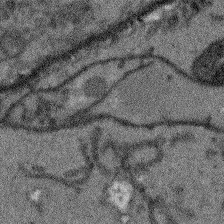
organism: Arabidopsis thaliana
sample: Root tip